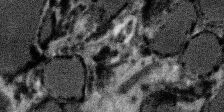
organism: Human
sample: Lung epithelial cells infected with SARS-CoV-2